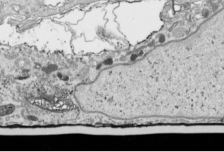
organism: Human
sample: Mitochondria in HCT116 cells